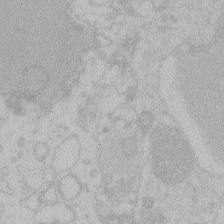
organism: Zebrafish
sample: Macrophage infected with Toxoplasma gondii